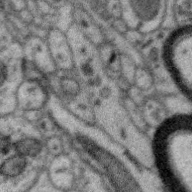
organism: Zebra finch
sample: Brain